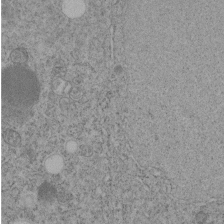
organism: C. elegans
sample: C. elegans embryo early stage